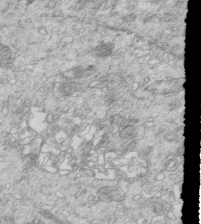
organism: Mouse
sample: Multiciliated cells